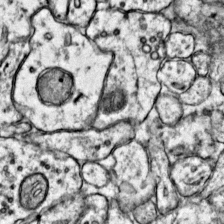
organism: Mouse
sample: Primary visual cortex